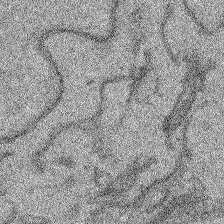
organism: Human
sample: HeLa cells